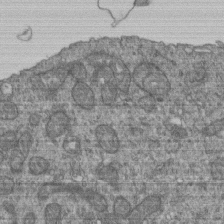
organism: Human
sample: Retinal organoid Rod and Cone cells